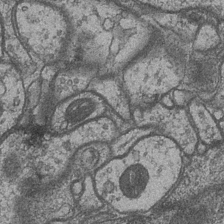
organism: Drosophila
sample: Optic medulla